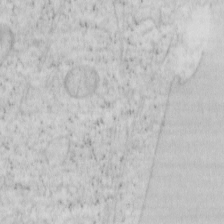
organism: Human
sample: HeLa cells